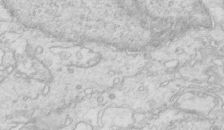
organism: Mouse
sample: Multiciliated cells